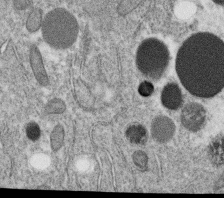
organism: C. elegans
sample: C. elegans oocyte; sperm cells